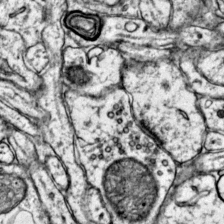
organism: Mouse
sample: Primary visual cortex